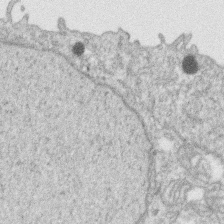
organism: Human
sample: HeLa cell HIV synapse